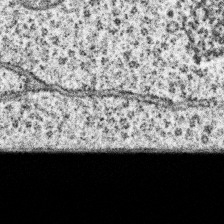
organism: Human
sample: HeLa cells